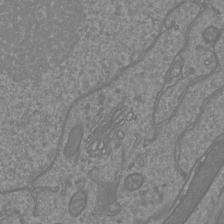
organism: Mouse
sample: Cortical neurons